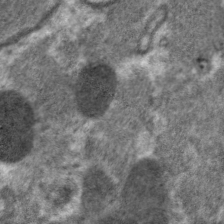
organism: C. elegans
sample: Pharynx